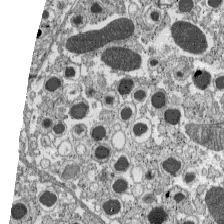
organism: C57BL Mouse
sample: Pancreatic islet